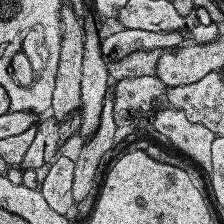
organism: Human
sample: Temporal Lobe